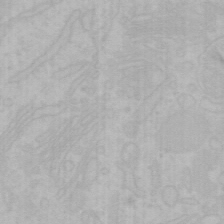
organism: Mouse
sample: Choroid plexus